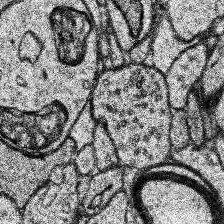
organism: Human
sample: Temporal Lobe